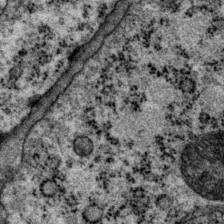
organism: P. pacificus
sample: Pharynx